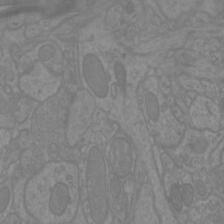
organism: Mouse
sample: Cortical neurons